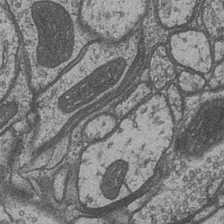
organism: Drosophila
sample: Optic medulla